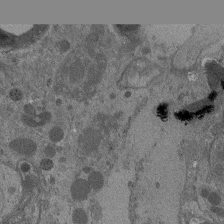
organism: Drosophila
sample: Antenna